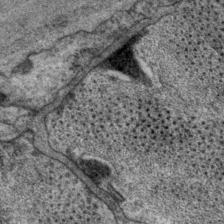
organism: P. pacificus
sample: Pharynx